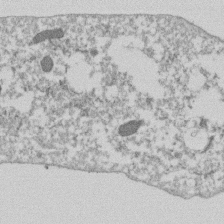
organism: Dictyostelium discoideum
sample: Dictyostelium multivesicular bodies